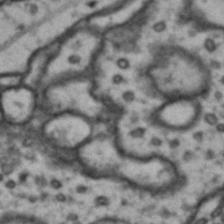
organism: Drosophila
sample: Brain